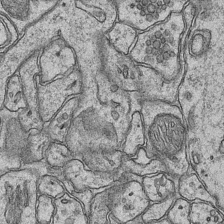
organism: Mouse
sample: CA1 Hippocampus